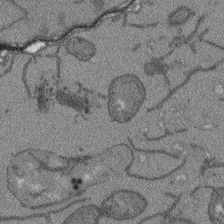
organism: Arabidopsis thaliana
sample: Root tip